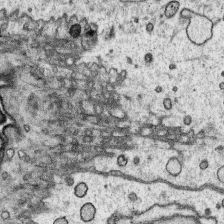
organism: Platynereis dumerilii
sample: Parapodia